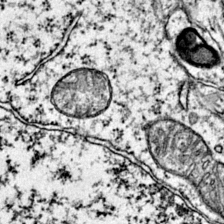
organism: Mouse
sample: Primary visual cortex